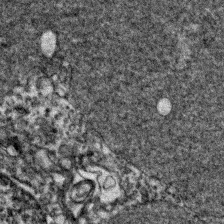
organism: Zebrafish